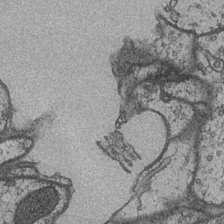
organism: Drosophila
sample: Optic medulla